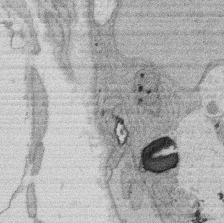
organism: Rat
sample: Salivary granule